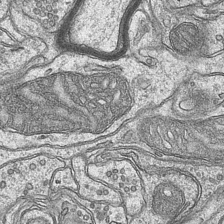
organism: Mouse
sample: CA1 Hippocampus